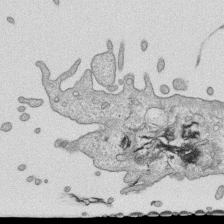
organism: Human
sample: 1205lu cells